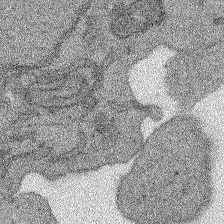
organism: Human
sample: HeLa cells